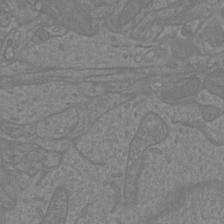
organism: Mouse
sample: Cortical neurons